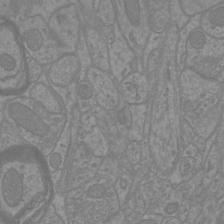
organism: Mouse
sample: Cortical neurons